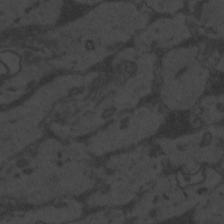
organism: Zebrafish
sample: Macrophage infected with Toxoplasma gondii